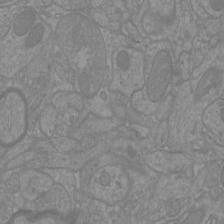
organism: Mouse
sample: Cortical neurons